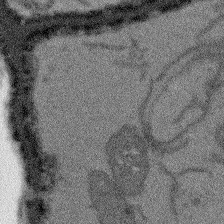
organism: Arabidopsis thaliana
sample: Root tip